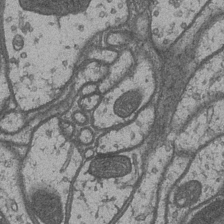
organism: Drosophila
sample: Optic medulla